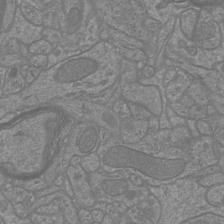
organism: Mouse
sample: Cortical neurons